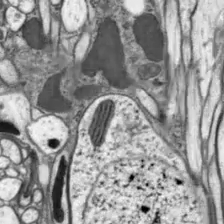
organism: Drosophila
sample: Optic lobe